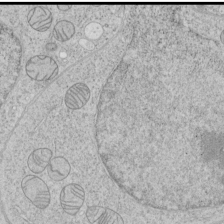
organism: Human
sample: Mitochondria in HCT116 cells